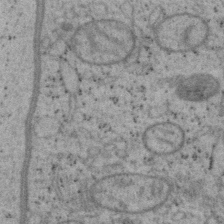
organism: Human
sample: HeLa cells